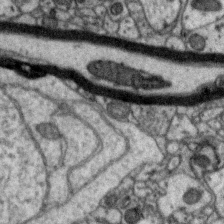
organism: Zebra finch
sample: Brain